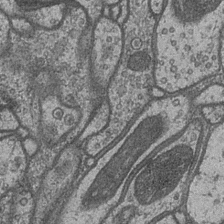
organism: Drosophila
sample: Optic medulla